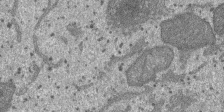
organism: Human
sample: Lung epithelial cells infected with SARS-CoV-2